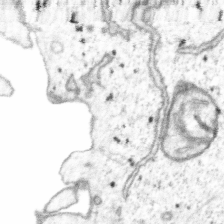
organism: Human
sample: HeLa cells